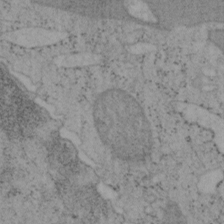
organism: Mouse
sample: OT-I killer T cells with ID8 ovarian cancer cells